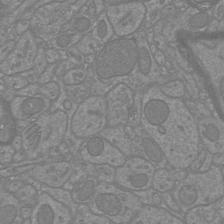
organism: Mouse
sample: Cortical neurons